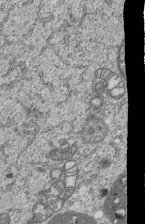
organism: Human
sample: MDA-MB-231 cells